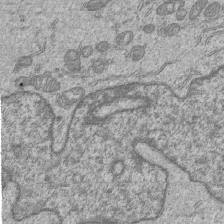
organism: Human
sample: MDA-MB-231 cells